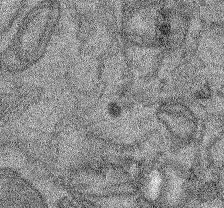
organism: Human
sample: HeLa cells